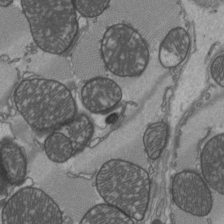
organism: C57BL Mouse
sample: Heart